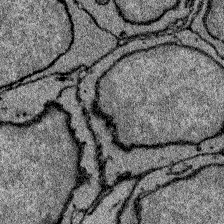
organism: Zebrafish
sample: Larval olfactory bulb